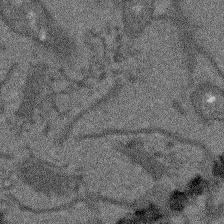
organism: Arabidopsis thaliana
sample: Root tip